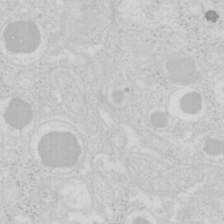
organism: Mouse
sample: Pancreas